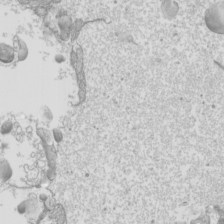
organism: Mouse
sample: Cilia; mouse epididymis